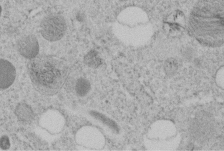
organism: C. elegans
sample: C. elegans embryo early stage